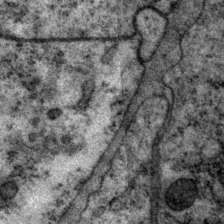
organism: P. pacificus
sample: Pharynx